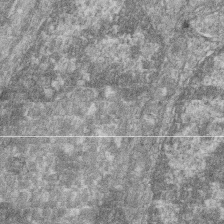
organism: Zebrafish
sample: Cilia; retinal pigment epithelium